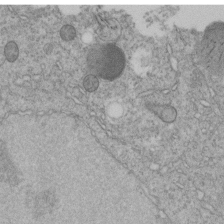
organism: C. elegans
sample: C. elegans embryo early stage